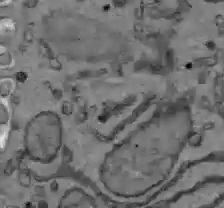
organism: C57BL Mouse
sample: Liver